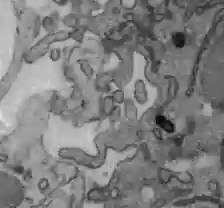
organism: C57BL Mouse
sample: Liver